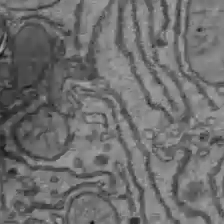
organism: C57BL Mouse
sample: Liver